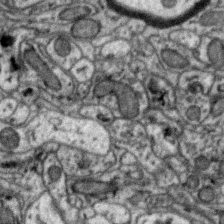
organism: Zebra finch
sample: Brain